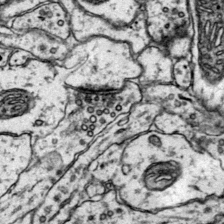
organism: Mouse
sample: Primary visual cortex